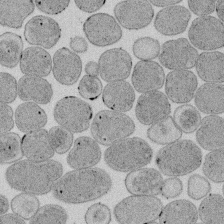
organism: E. coli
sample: Bacterial nucleoid